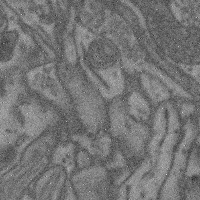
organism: Mouse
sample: Cerebral cortex